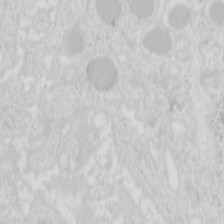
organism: Mouse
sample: Pancreas